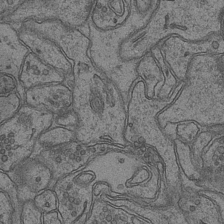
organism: Mouse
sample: CA1 Hippocampus